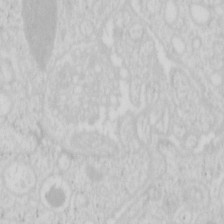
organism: Mouse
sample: Pancreas